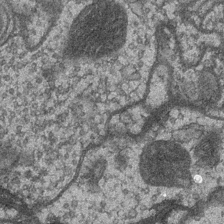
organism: Drosophila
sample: Optic medulla